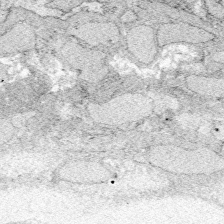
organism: Zebrafish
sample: Whole-Brain